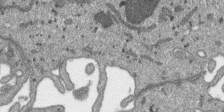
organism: Human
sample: Lung epithelial cells infected with SARS-CoV-2